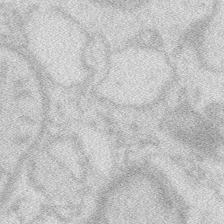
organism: Zebrafish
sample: Macrophage